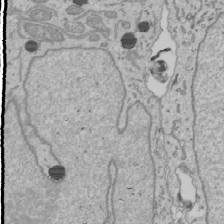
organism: Human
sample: Mitochondria in U2OS cells